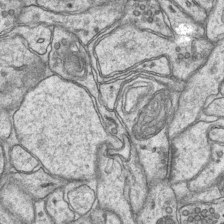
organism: Mouse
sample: CA1 Hippocampus